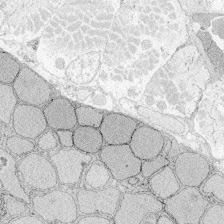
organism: Zebrafish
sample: Whole-Brain